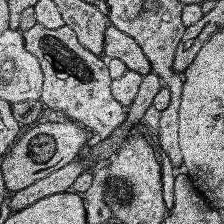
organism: Human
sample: Temporal Lobe